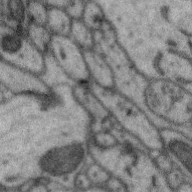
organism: Zebra finch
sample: Brain